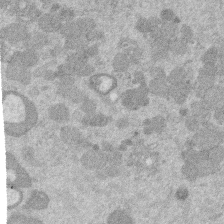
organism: Mouse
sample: Dividing mouse embryo 1 cell stage